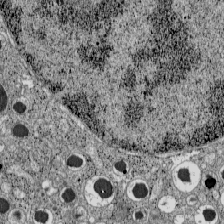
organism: C57BL Mouse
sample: Pancreatic islet